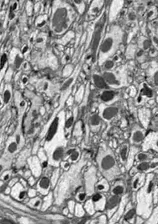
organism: Drosophila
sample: Optic lobe